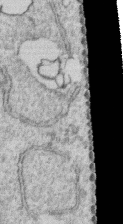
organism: Human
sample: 1205lu cells